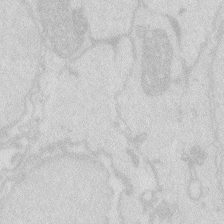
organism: Zebrafish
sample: Macrophage